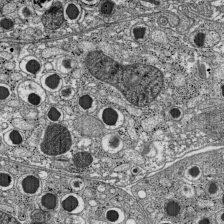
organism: C57BL Mouse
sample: Pancreatic islet